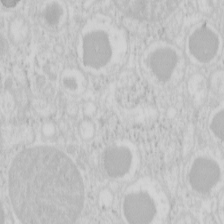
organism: Mouse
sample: Pancreas